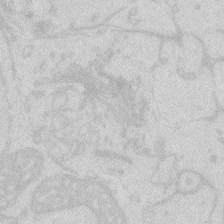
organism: Zebrafish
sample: Macrophage